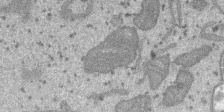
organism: Human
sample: Lung epithelial cells infected with SARS-CoV-2